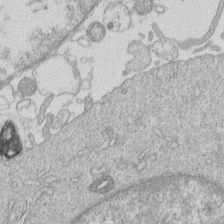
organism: Human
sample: Macrophage cells